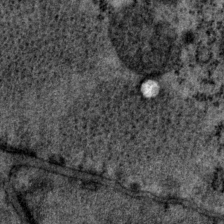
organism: P. pacificus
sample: Pharynx